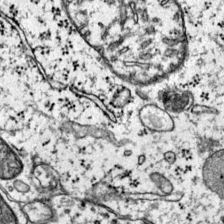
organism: Mouse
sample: Primary visual cortex